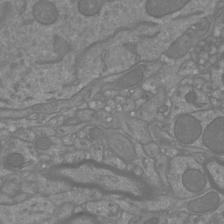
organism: Mouse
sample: Cortical neurons